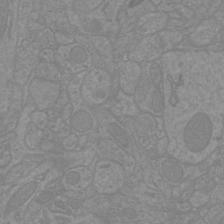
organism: Mouse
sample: Cortical neurons